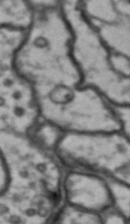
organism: Drosophila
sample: Brain